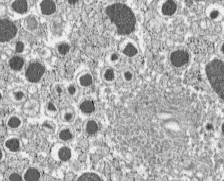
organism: C57BL Mouse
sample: Pancreatic islet